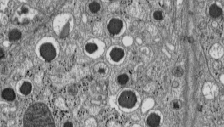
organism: C57BL Mouse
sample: Pancreatic islet